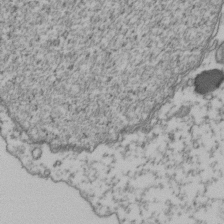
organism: Human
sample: Activated Jurkat CD4+ T cells